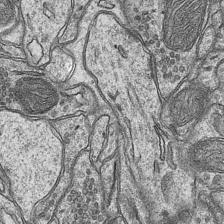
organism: Mouse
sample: CA1 Hippocampus